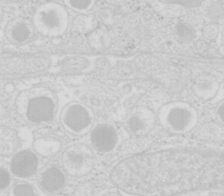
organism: Mouse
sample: Pancreas